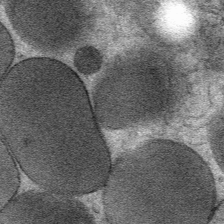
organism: Mouse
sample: Mouse Salivary gland